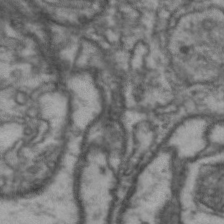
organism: Drosophila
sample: Brain